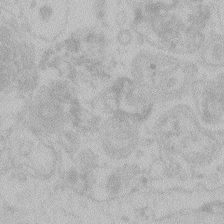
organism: Zebrafish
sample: Macrophage infected with Toxoplasma gondii